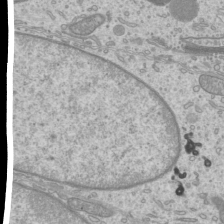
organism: Mouse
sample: Cilia; mouse epididymis